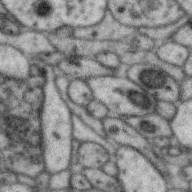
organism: Zebra finch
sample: Brain